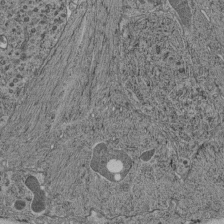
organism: C. elegans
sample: C. elegans pharynx